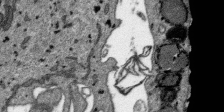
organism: Human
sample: Lung epithelial cells, uninfected (mock) control